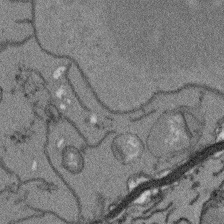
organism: Arabidopsis thaliana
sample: Root tip